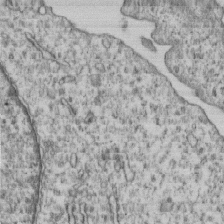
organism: Human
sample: MDA-MB-231 cells